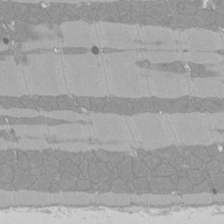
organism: Rat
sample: Left ventricle